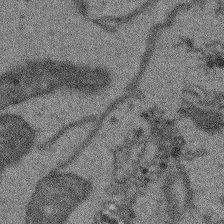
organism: Arabidopsis thaliana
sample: Root tip